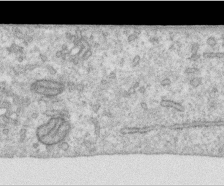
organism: Human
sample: Centriole in RPE cells